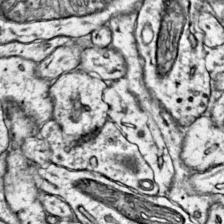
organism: Mouse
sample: Primary visual cortex